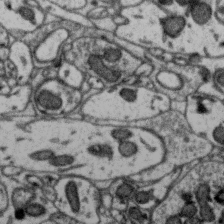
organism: Zebra finch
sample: Brain